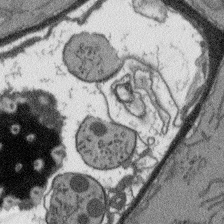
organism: Arabidopsis thaliana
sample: Root tip